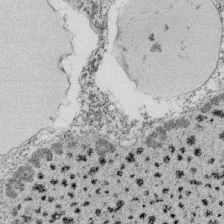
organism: Tetrahymena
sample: Cilia in tetrahymena